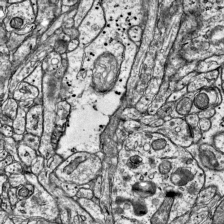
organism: Mouse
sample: Visual Cortex